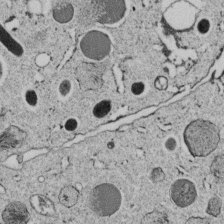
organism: C. elegans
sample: C. elegans embryo early stage